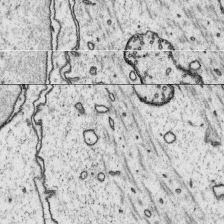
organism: Platynereis dumerilii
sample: Parapodia